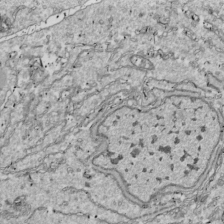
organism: Drosophila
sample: Cell division; meiosis; drosophila spermatocytes